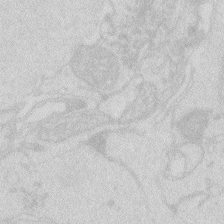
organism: Zebrafish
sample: Macrophage